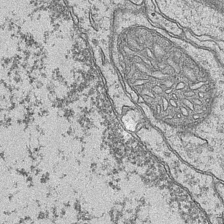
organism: Mouse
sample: CA1 Hippocampus